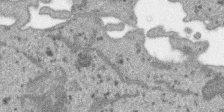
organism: Human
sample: Lung epithelial cells infected with SARS-CoV-2